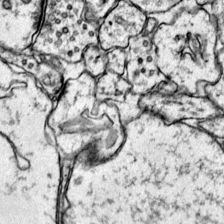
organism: Mouse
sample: Primary visual cortex